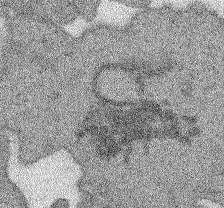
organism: Human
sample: HeLa cells